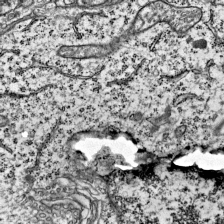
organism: Mouse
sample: Visual Cortex